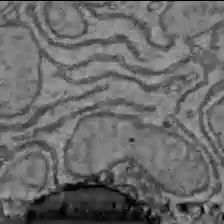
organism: C57BL Mouse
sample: Liver